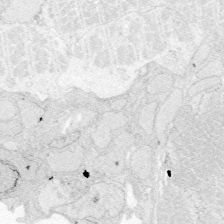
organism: Zebrafish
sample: Whole-Brain